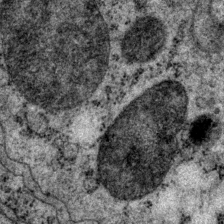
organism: P. pacificus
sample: Pharynx